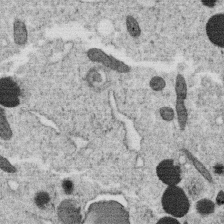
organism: C. elegans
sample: C. elegans oocyte; sperm cells